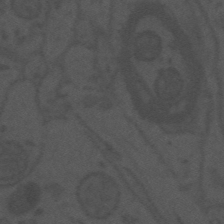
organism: Mouse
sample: Suprachiasmatic nucleus